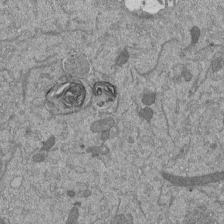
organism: Mouse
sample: ED-1 cell nuclei; centrioles